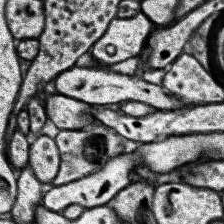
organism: Human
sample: Temporal Lobe